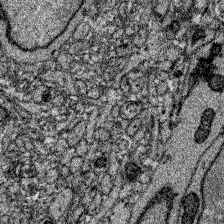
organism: Zebrafish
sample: Larval olfactory bulb